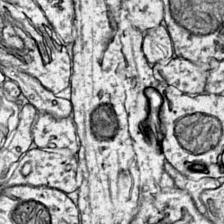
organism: Mouse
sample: Primary visual cortex